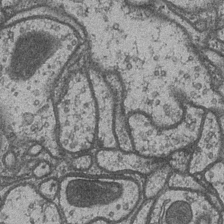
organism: Drosophila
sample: Optic medulla